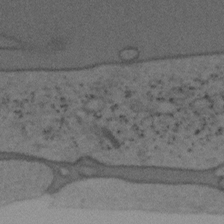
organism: Human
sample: HeLa cells